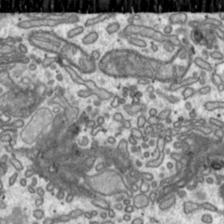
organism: Toxoplasma gondii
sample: Parasites in a vacuole inside a host cell